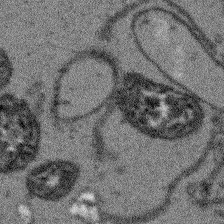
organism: Arabidopsis thaliana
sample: Root tip